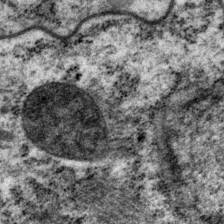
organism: P. pacificus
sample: Pharynx